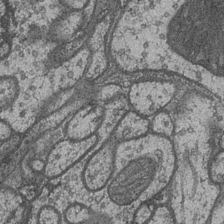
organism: Drosophila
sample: Optic medulla